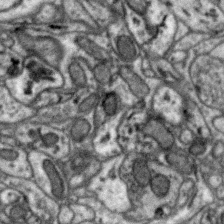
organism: Zebra finch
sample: Brain